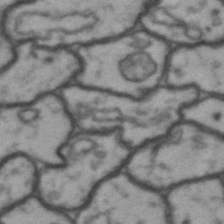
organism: Drosophila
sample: Brain